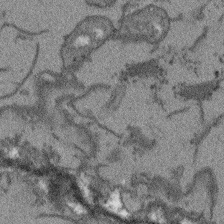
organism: Arabidopsis thaliana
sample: Root tip